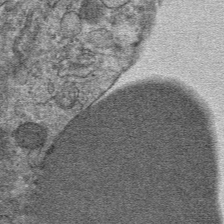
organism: Mouse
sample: Mouse hepatocytes